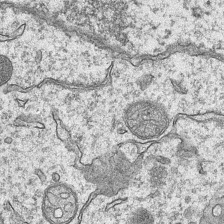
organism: Mouse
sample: CA1 Hippocampus